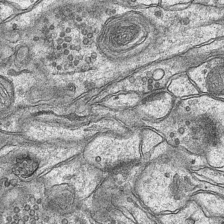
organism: Mouse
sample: CA1 Hippocampus